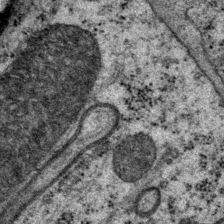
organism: P. pacificus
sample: Pharynx